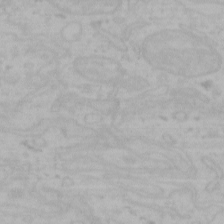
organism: Mouse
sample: Choroid plexus